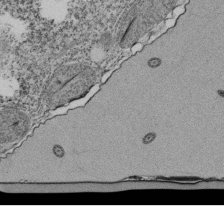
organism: Tetrahymena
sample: Cilia in tetrahymena